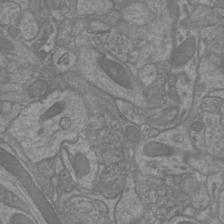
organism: Mouse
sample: Cortical neurons